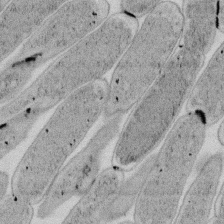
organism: E. coli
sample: Bacterial nucleoid